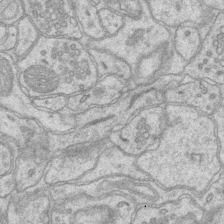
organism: Mouse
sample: CA1 Hippocampus